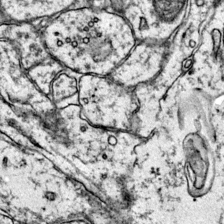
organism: Mouse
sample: Primary visual cortex